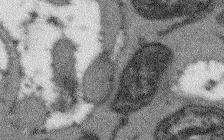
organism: Arabidopsis thaliana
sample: Root tip